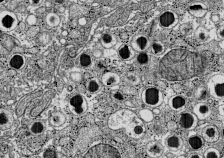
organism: C57BL Mouse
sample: Pancreatic islet